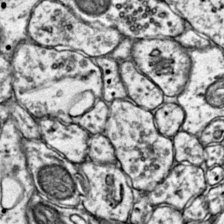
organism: Mouse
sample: Primary visual cortex